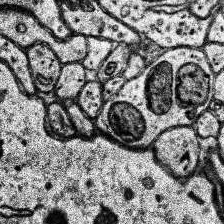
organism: Human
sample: Temporal Lobe